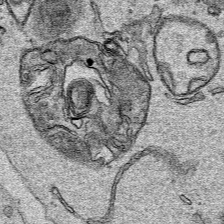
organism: Human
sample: Mitochondria in HCT116 cells